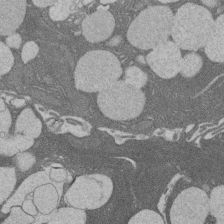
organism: Rat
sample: Salivary granule